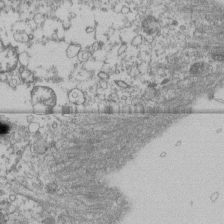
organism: Human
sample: Fibroblast cells